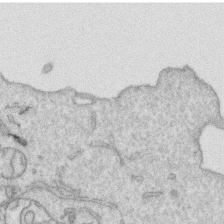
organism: Human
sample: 1205lu cells